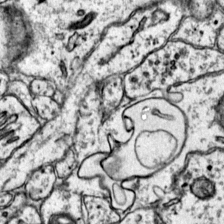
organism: Mouse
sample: Primary visual cortex